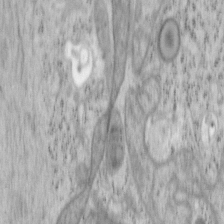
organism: Human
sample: HeLa cells